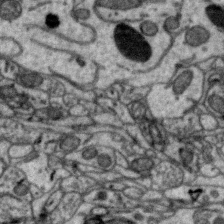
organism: Zebra finch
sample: Brain